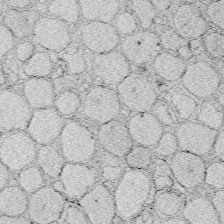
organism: Zebrafish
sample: Whole-Brain